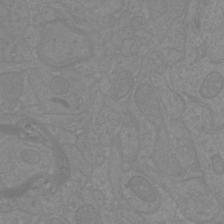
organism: Mouse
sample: Cortical neurons